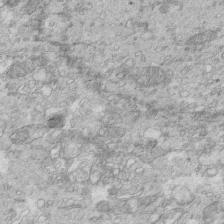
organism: Mouse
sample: Multiciliated cells